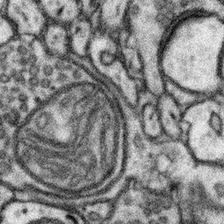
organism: Mouse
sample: Somatosensory cortex neuropil